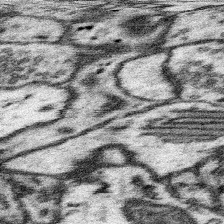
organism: Mouse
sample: Somatosensory cortex neuropil